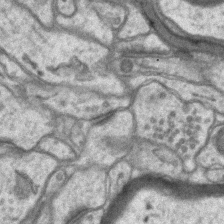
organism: Mouse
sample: CA1 Hippocampus